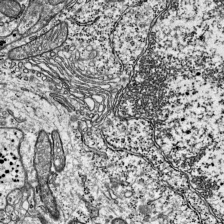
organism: Mouse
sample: Visual Cortex